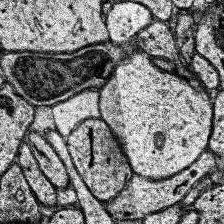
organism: Human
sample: Temporal Lobe